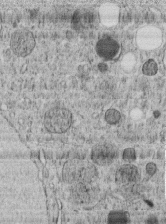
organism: C. elegans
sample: C. elegans embryo early stage